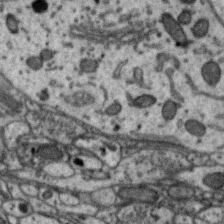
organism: Zebra finch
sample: Brain